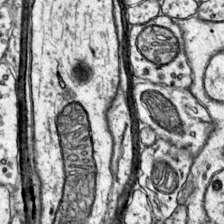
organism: Mouse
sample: Primary visual cortex